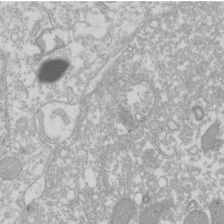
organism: Xenopus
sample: Cilia; centrioles in frog embryo cells